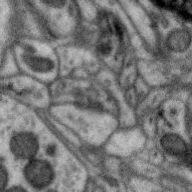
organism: Zebra finch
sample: Brain